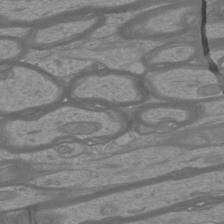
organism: Mouse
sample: Cortical neurons